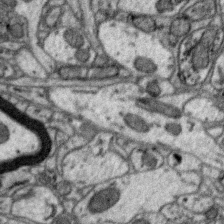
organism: Zebra finch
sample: Brain